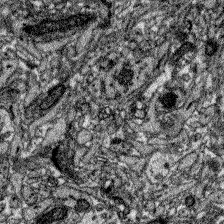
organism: Zebrafish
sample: Larval olfactory bulb